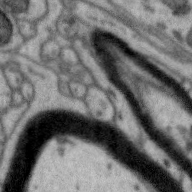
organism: Zebra finch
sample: Brain